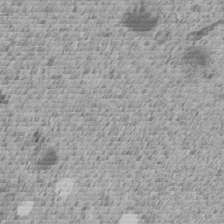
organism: C. elegans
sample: C. elegans embryo early stage